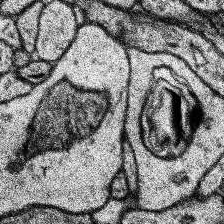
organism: Human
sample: Temporal Lobe